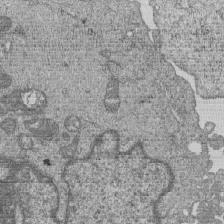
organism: Human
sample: MDA-MB-231 cells